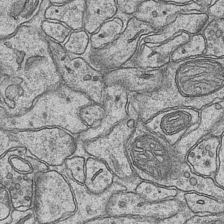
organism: Mouse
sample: CA1 Hippocampus